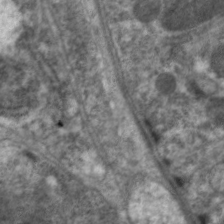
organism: C. elegans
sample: Pharynx